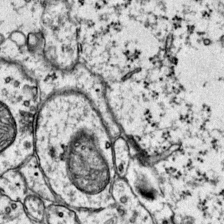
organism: Mouse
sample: Primary visual cortex